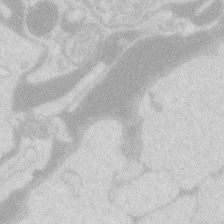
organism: Zebrafish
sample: Macrophage